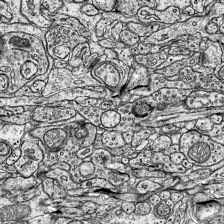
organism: Mouse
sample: Visual Cortex